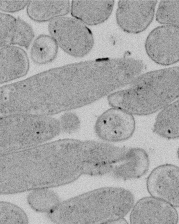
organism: E. coli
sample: Bacterial nucleoid